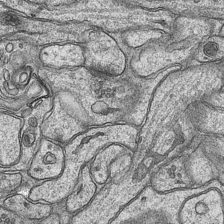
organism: Mouse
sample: CA1 Hippocampus